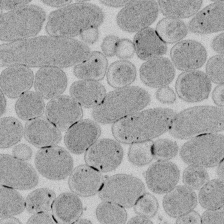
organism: E. coli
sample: Bacterial nucleoid